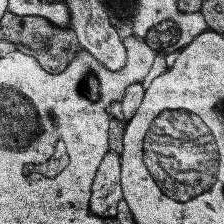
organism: Human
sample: Temporal Lobe